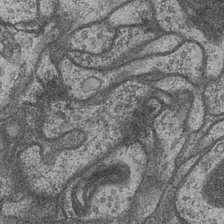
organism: Drosophila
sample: Optic medulla